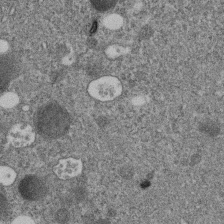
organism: C. elegans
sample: C. elegans embryo early stage